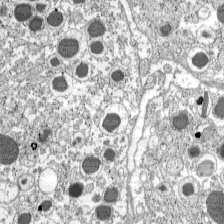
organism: C57BL Mouse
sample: Pancreatic islet